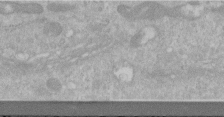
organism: Human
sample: Centriole in RPE cells